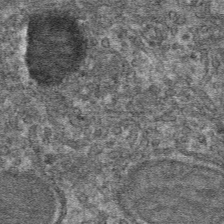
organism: Mouse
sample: Mouse hepatocytes